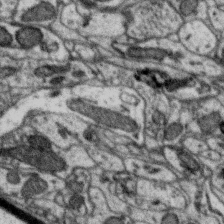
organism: Zebra finch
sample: Brain